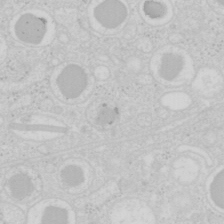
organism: Mouse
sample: Pancreas